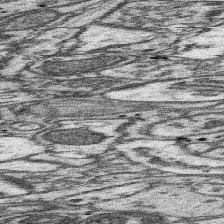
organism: Mouse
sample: Somatosensory cortex neuropil